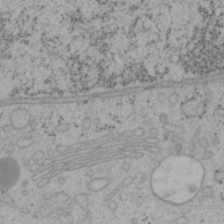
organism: Human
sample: HeLa cells